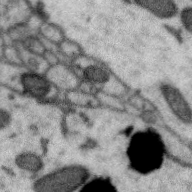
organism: Zebra finch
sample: Brain